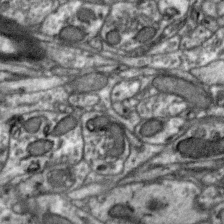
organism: Zebra finch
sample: Brain